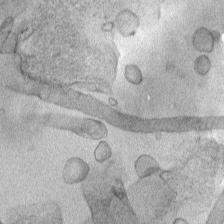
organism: Human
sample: Mitochondria in HCT116 cells